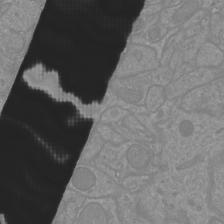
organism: Mouse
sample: Cortical neurons